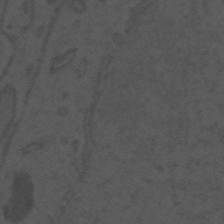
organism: Mouse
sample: Suprachiasmatic nucleus